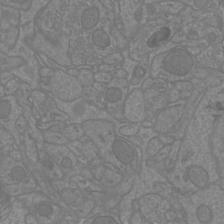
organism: Mouse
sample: Cortical neurons